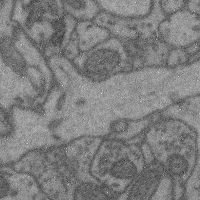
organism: Mouse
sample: Cerebral cortex